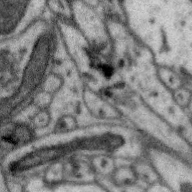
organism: Zebra finch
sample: Brain